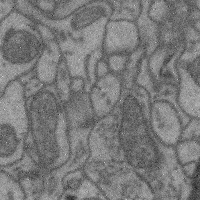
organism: Mouse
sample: Cerebral cortex